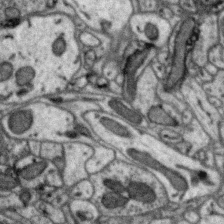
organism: Zebra finch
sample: Brain